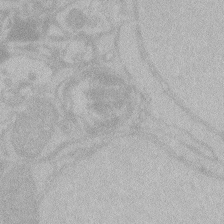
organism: Zebrafish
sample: Macrophage infected with Toxoplasma gondii